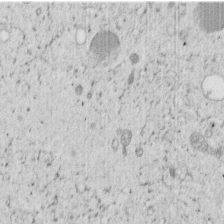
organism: C. elegans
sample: C. elegans embryo early stage